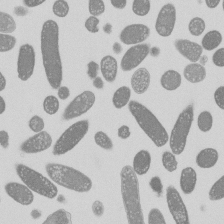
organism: E. coli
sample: Bacterial nucleoid